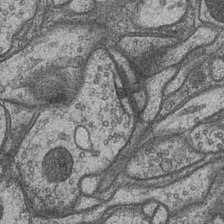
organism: Drosophila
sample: Optic medulla